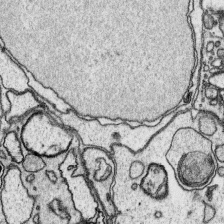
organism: Platynereis dumerilii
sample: Parapodia